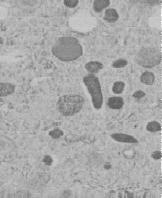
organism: C. elegans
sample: C. elegans embryo early stage